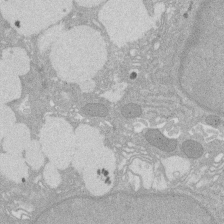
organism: Rat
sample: Salivary granule